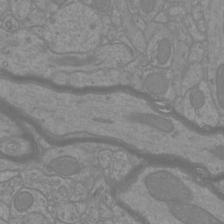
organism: Mouse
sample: Cortical neurons